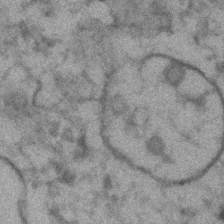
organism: Zebrafish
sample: Zebrafish embryo